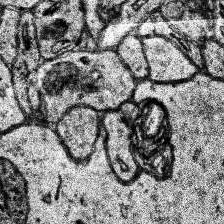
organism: Human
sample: Temporal Lobe